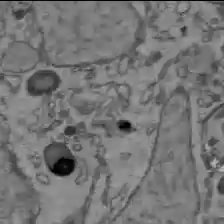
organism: C57BL Mouse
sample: Liver